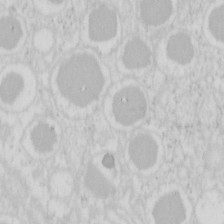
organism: Mouse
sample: Pancreas